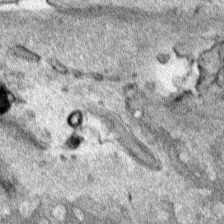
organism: Human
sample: Mitochondria in HCT116 cells